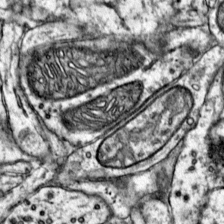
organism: Mouse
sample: Primary visual cortex